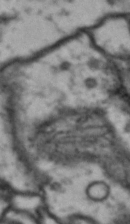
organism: Drosophila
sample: Brain